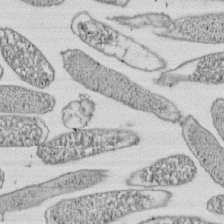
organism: E. coli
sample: Bacterial nucleoid